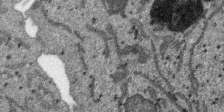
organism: Human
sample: Lung epithelial cells infected with SARS-CoV-2